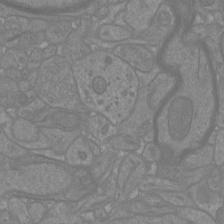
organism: Mouse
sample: Cortical neurons